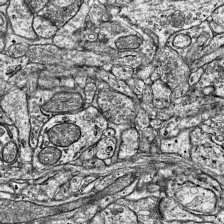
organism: Mouse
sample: Visual Cortex